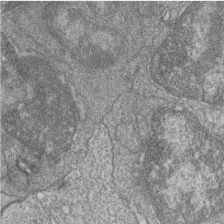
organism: Zebrafish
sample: Cilia; retinal pigment epithelium